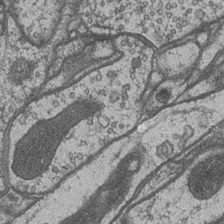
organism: Drosophila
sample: Optic medulla